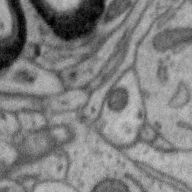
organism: Zebra finch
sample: Brain